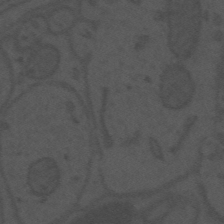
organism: Mouse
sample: Suprachiasmatic nucleus